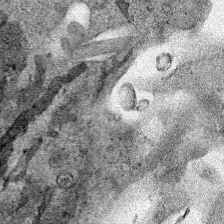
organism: Human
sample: Mitochondria in HCT116 cells